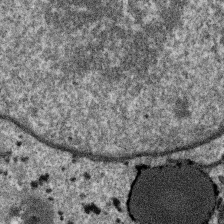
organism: Human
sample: Lung epithelial cells infected with SARS-CoV-2